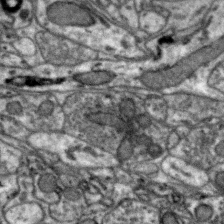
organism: Zebra finch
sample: Brain